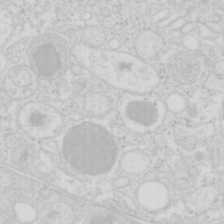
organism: Mouse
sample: Pancreas